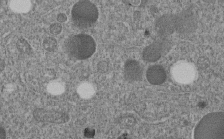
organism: C. elegans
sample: C. elegans embryo early stage